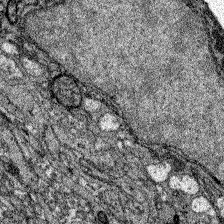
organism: Zebrafish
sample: Larval olfactory bulb